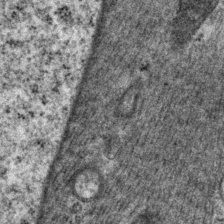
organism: P. pacificus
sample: Pharynx